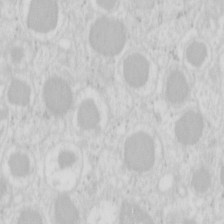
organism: Mouse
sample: Pancreas